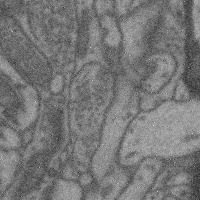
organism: Mouse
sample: Cerebral cortex